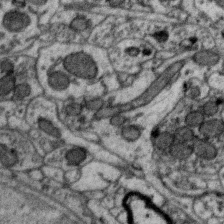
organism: Zebra finch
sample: Brain